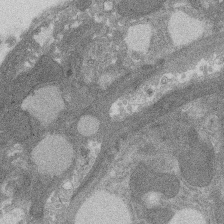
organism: Rat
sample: Salivary granule